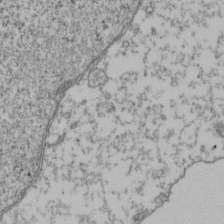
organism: Human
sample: Activated Jurkat CD4+ T cells